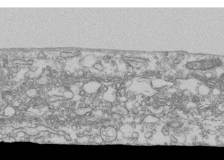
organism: Human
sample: Fibroblast cells